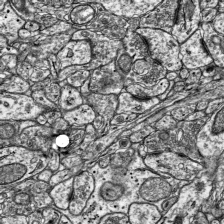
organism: Mouse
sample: Visual Cortex